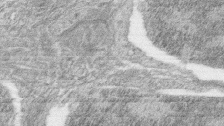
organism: Zebrafish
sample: synaptic ribbons in rod cells and cone cells